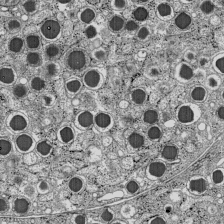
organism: C57BL Mouse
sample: Pancreatic islet